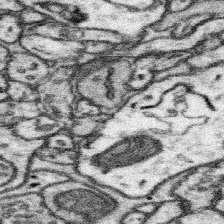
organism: Mouse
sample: Somatosensory cortex neuropil